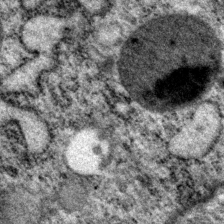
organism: P. pacificus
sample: Pharynx